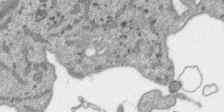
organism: Human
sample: Lung epithelial cells infected with SARS-CoV-2